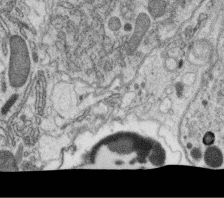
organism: C. elegans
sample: C. elegans oocyte; sperm cells